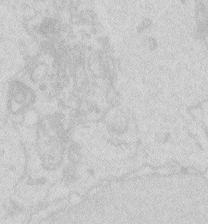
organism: Zebrafish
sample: Macrophage